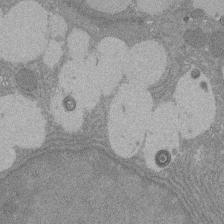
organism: Rat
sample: Salivary granule